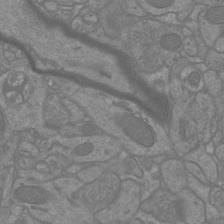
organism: Mouse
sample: Cortical neurons